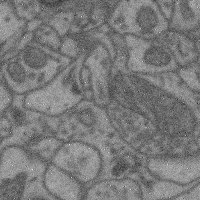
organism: Mouse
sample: Cerebral cortex